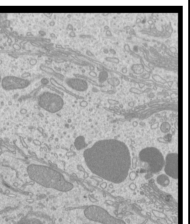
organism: Mouse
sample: Cilia; mouse epididymis